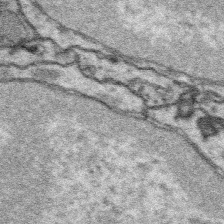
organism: Platynereis dumerilii